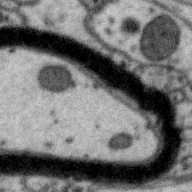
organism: Zebra finch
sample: Brain